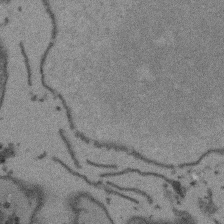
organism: Arabidopsis thaliana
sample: Root tip